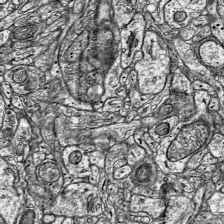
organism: Mouse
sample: Visual Cortex